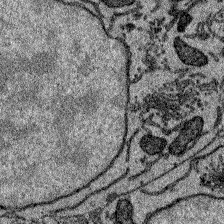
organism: Zebrafish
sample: Larval olfactory bulb